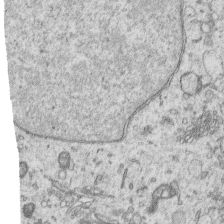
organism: Human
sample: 1205lu cells